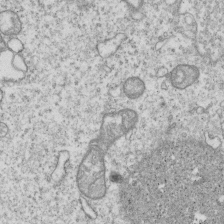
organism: Human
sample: MDA-MB-231 cells